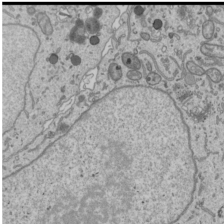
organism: Human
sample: Mitochondria in U2OS cells